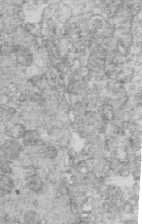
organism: Mouse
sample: Multiciliated cells